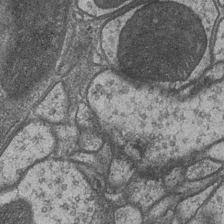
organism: Drosophila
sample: Optic medulla